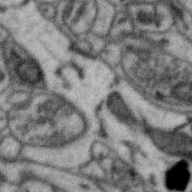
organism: Zebra finch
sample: Brain